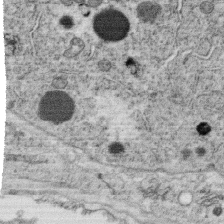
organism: C. elegans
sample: C. elegans oocyte; sperm cells